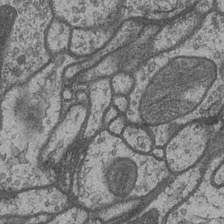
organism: Drosophila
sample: Optic medulla